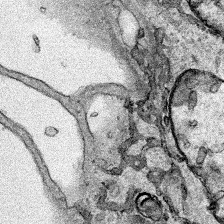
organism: Human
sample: Mitochondria in HCT116 cells